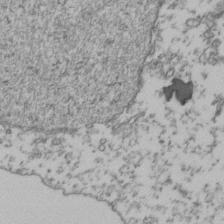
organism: Human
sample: Activated Jurkat CD4+ T cells